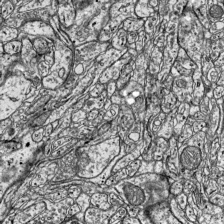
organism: Mouse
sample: Visual Cortex